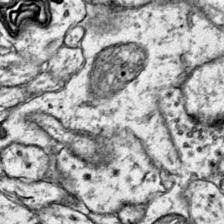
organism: Mouse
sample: Primary visual cortex